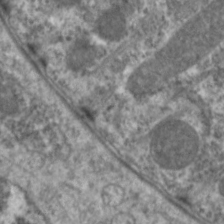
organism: C. elegans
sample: Pharynx